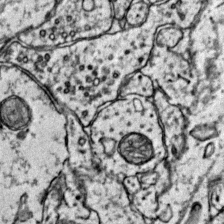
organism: Mouse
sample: Primary visual cortex